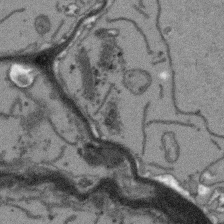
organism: Arabidopsis thaliana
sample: Root tip